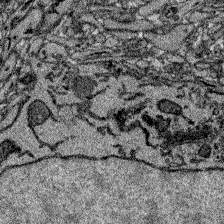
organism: Zebrafish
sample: Larval olfactory bulb